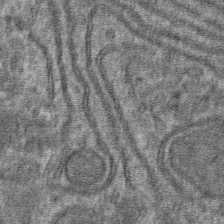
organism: Mouse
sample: Mouse hepatocytes